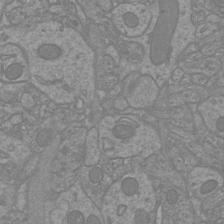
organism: Mouse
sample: Cortical neurons